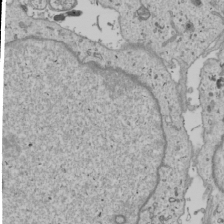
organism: Human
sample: Mitochondria in U2OS cells